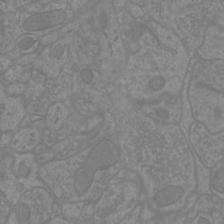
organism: Mouse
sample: Cortical neurons